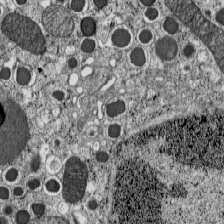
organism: C57BL Mouse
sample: Pancreatic islet